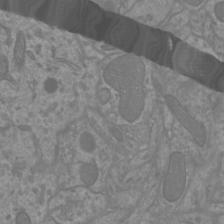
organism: Mouse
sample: Cortical neurons